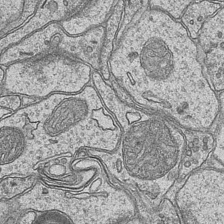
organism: Mouse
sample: CA1 Hippocampus